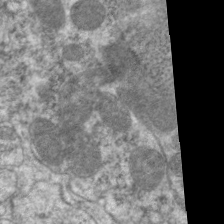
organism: C. elegans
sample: Pharynx